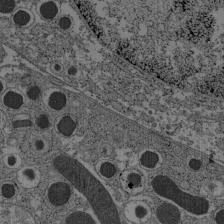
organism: C57BL Mouse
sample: Pancreatic islet